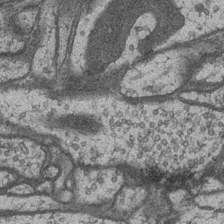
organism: Drosophila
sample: Optic medulla